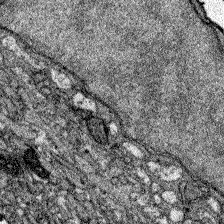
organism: Zebrafish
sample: Larval olfactory bulb